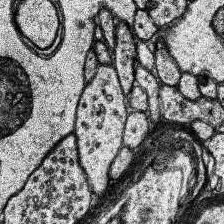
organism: Human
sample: Temporal Lobe